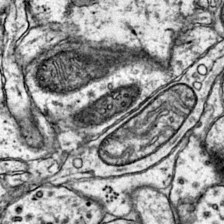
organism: Mouse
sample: Primary visual cortex